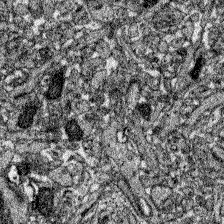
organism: Zebrafish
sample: Larval olfactory bulb